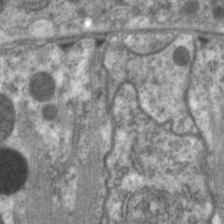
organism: C. elegans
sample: Pharynx